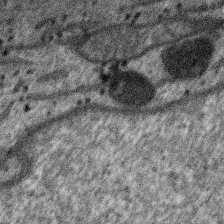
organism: Human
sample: Lung epithelial cells infected with SARS-CoV-2